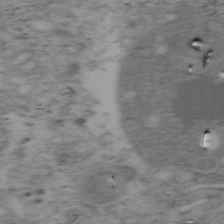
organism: Mouse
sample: OT-I killer T cells with ID8 ovarian cancer cells